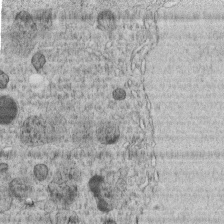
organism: C. elegans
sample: C. elegans embryo early stage